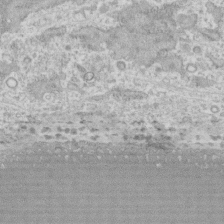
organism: Human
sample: CRL-1474